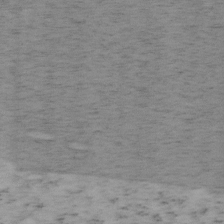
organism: Mouse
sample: OT-I killer T cells with ID8 ovarian cancer cells